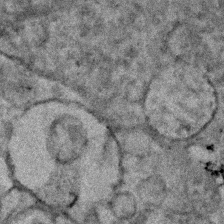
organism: Human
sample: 1205lu cells